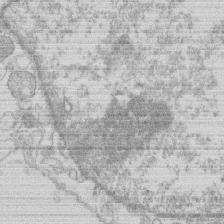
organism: Human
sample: Macrophage cells